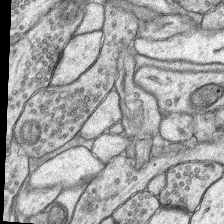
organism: Rat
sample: Hippocampus